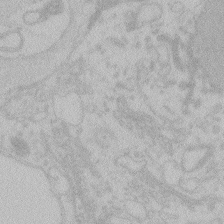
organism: Zebrafish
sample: Macrophage infected with Toxoplasma gondii